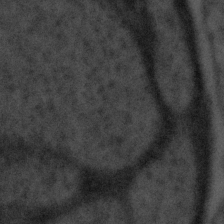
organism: Tuwongella immobilis